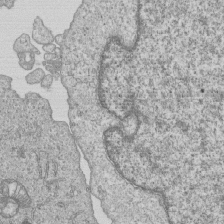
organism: Human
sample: MDA-MB-231 cells